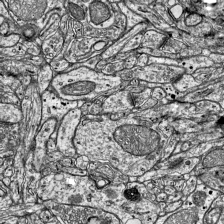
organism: Mouse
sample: Visual Cortex